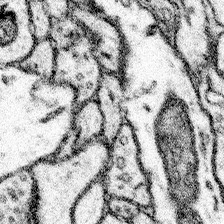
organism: Mouse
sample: Somatosensory cortex neuropil